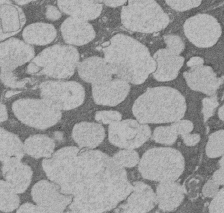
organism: Rat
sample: Salivary granule